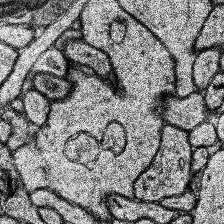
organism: Human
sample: Temporal Lobe